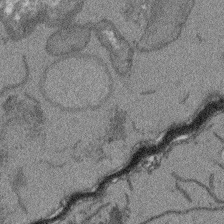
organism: Arabidopsis thaliana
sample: Root tip